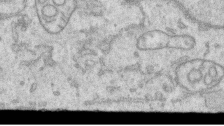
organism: Human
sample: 1205lu cells